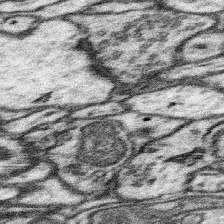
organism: Mouse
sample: Somatosensory cortex neuropil